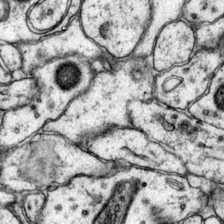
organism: Mouse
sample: Primary visual cortex